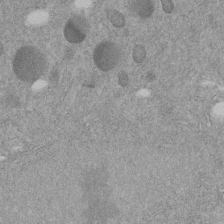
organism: C. elegans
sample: C. elegans embryo early stage